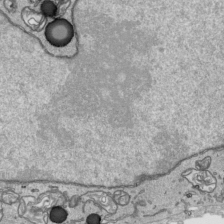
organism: Human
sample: Mitochondria in HCT116 cells